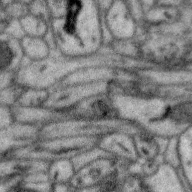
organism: Zebra finch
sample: Brain